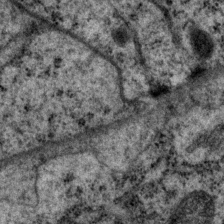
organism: P. pacificus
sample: Pharynx